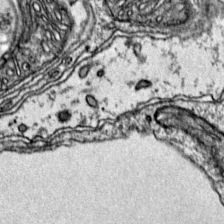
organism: Mouse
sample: Primary visual cortex